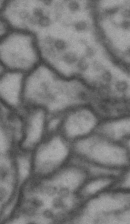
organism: Drosophila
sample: Brain